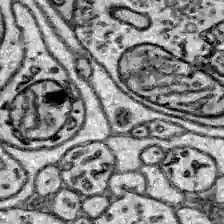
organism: Zebrafish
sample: Brain